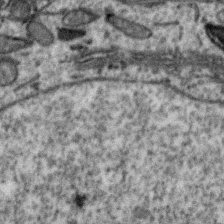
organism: Zebra finch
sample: Brain